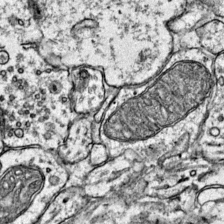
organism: Mouse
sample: Primary visual cortex